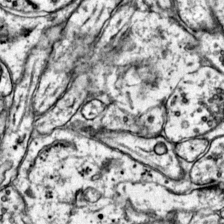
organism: Mouse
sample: Primary visual cortex